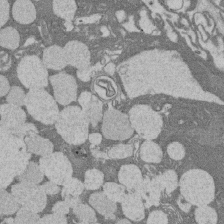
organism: Rat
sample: Salivary granule